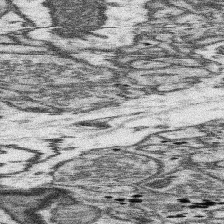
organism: Mouse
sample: Somatosensory cortex neuropil